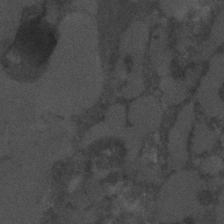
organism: C. elegans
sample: C. elegans embryo